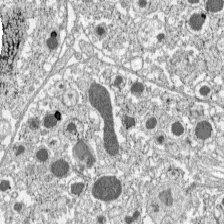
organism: C57BL Mouse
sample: Pancreatic islet